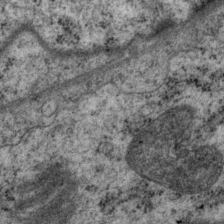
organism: P. pacificus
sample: Pharynx